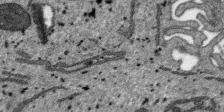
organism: Human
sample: Lung epithelial cells, uninfected (mock) control